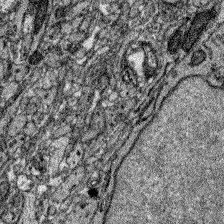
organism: Zebrafish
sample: Larval olfactory bulb